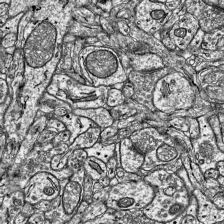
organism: Mouse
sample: Visual Cortex